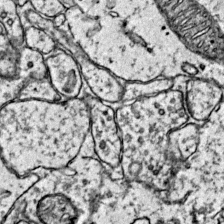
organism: Mouse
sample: Primary visual cortex